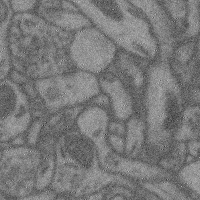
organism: Mouse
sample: Cerebral cortex